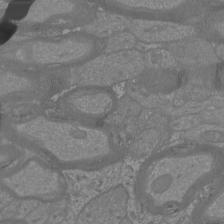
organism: Mouse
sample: Cortical neurons